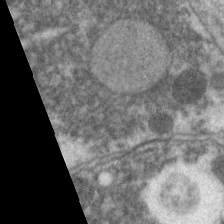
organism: C. elegans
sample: Pharynx